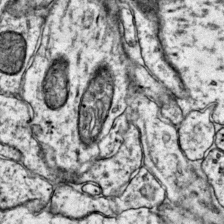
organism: Mouse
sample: Primary visual cortex